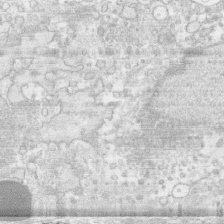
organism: Human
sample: CRL-1474